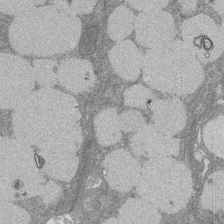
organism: Rat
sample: Salivary granule